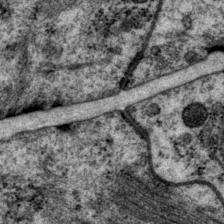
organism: P. pacificus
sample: Pharynx